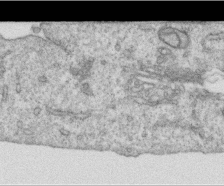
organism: Human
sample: Centriole in RPE cells